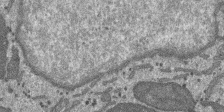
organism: Human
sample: Lung epithelial cells infected with SARS-CoV-2